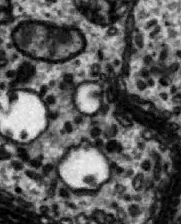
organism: Human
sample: HeLa cells